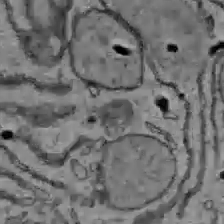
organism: C57BL Mouse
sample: Liver